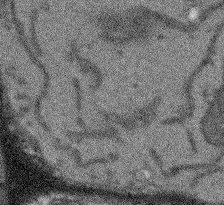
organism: Arabidopsis thaliana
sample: Root tip